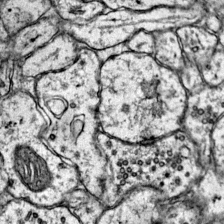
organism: Mouse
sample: Primary visual cortex